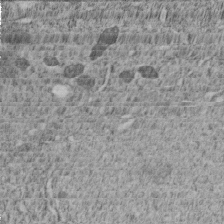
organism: C. elegans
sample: C. elegans embryo early stage